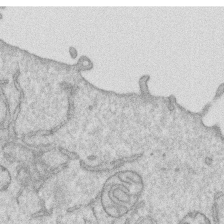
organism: Human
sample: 1205lu cells